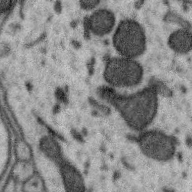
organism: Zebra finch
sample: Brain